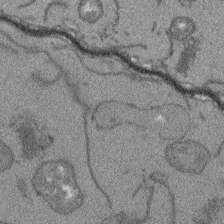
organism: Arabidopsis thaliana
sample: Root tip